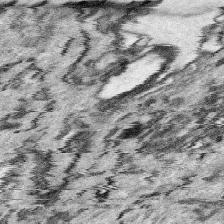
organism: Human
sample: HeLa cells